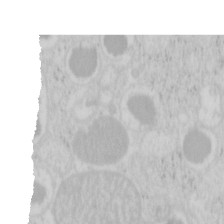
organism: Mouse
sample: Pancreas